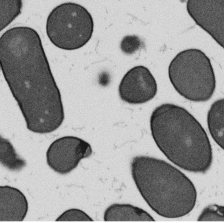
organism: B. subtilis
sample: Bacterial spore